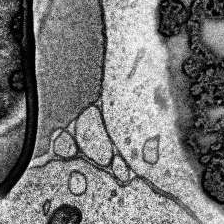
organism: Human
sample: Temporal Lobe